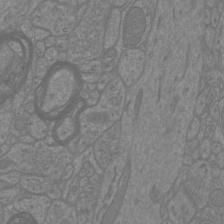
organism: Mouse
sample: Cortical neurons